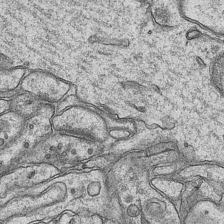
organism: Mouse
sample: CA1 Hippocampus